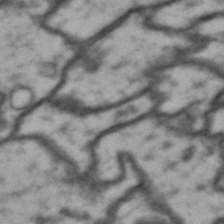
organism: Drosophila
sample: Brain